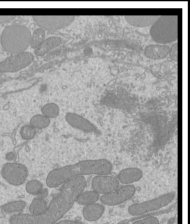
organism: Mouse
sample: Cilia; mouse epididymis